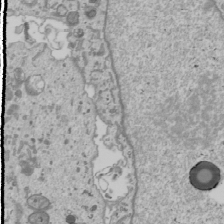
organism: Human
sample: Mitochondria in U2OS cells